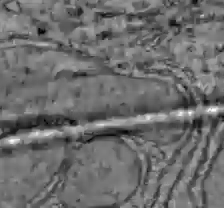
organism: C57BL Mouse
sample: Liver